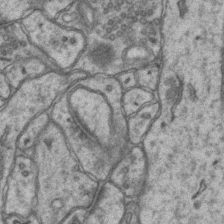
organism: Mouse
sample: CA1 Hippocampus